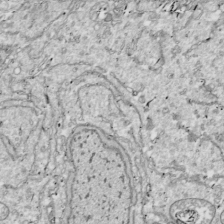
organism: Drosophila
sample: Cell division; meiosis; drosophila spermatocytes